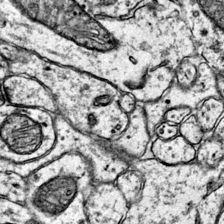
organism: Mouse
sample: Primary visual cortex